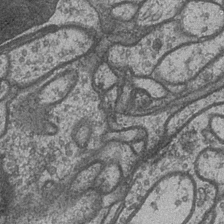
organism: Drosophila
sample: Optic medulla